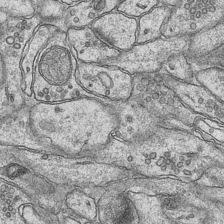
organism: Mouse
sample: CA1 Hippocampus